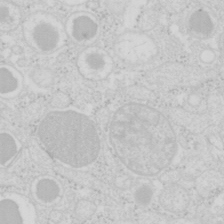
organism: Mouse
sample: Pancreas